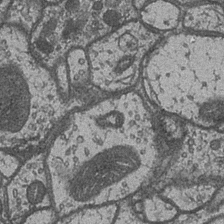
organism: Drosophila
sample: Optic medulla